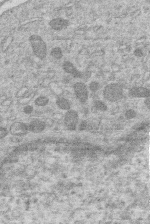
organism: Human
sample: Macrophage cells